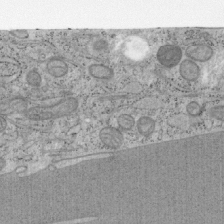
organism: Human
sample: HeLa cells